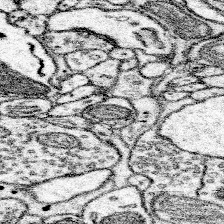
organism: Mouse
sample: Somatosensory cortex neuropil